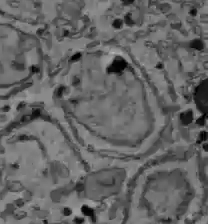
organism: C57BL Mouse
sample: Liver